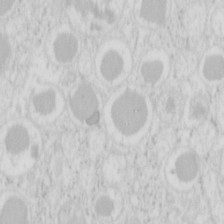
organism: Mouse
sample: Pancreas